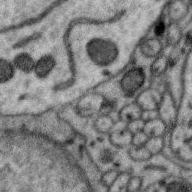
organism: Zebra finch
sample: Brain